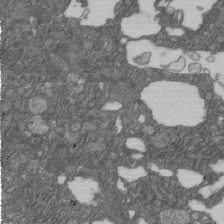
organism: Drosophila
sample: Nephrocyte